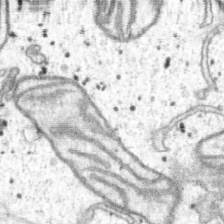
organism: Human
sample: HeLa cells